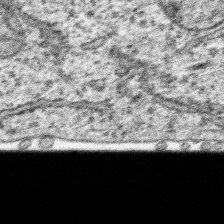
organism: Human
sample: HeLa cells